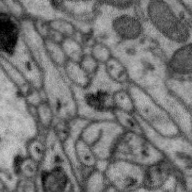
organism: Zebra finch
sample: Brain